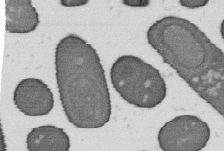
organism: B. subtilis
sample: Bacterial spore